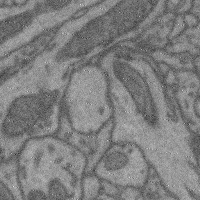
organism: Mouse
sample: Cerebral cortex